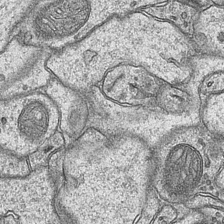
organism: Mouse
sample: CA1 Hippocampus